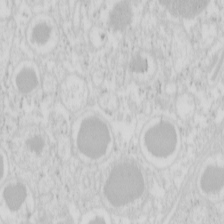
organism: Mouse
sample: Pancreas